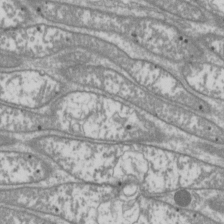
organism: Drosophila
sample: Cell division; meiosis; drosophila spermatocytes